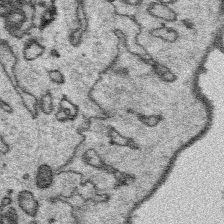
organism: Platynereis dumerilii